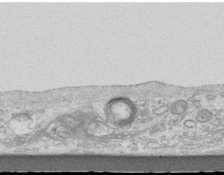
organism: Mouse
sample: Centriole in ependymal cells